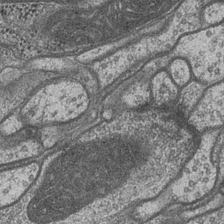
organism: Drosophila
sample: Optic medulla